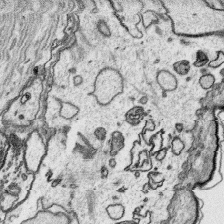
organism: Platynereis dumerilii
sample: Parapodia